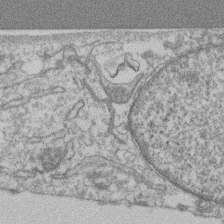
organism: Mouse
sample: T cell stromal cell synapse